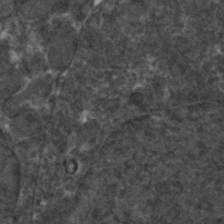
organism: Zebrafish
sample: Zebrafish embryo